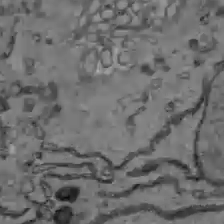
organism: C57BL Mouse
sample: Liver